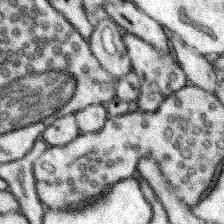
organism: Mouse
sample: Somatosensory cortex neuropil